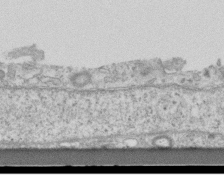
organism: Mouse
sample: Centriole in ependymal cells